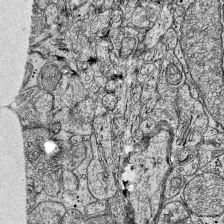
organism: Mouse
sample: Visual Cortex